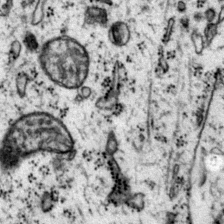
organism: Mouse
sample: Primary visual cortex